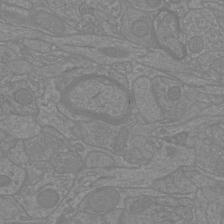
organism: Mouse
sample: Cortical neurons